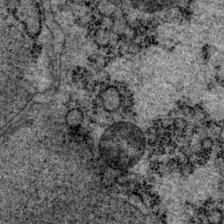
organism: P. pacificus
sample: Pharynx